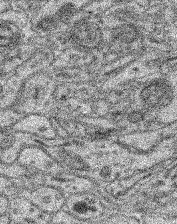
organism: Mouse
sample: Retina